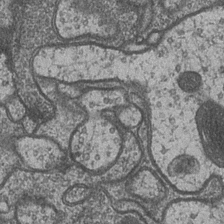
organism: Drosophila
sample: Optic medulla